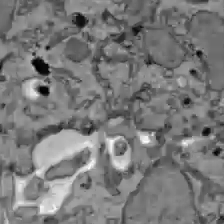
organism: C57BL Mouse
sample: Liver